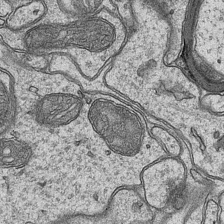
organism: Mouse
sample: CA1 Hippocampus